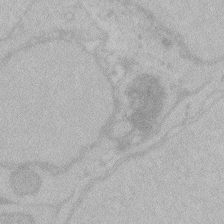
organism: Zebrafish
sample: Macrophage infected with Toxoplasma gondii